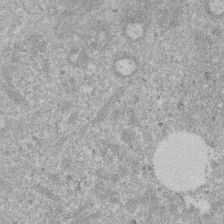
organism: Mouse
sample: Dividing mouse embryo 1 cell stage